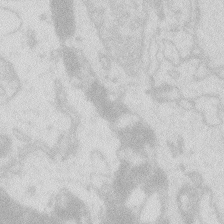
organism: Zebrafish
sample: Macrophage